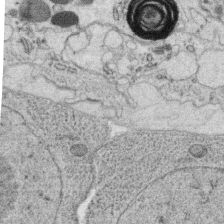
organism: C. elegans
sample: C. elegans oocyte; sperm cells